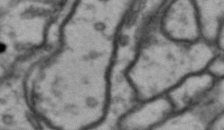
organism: Drosophila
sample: Brain